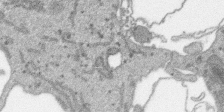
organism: Human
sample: Lung epithelial cells infected with SARS-CoV-2